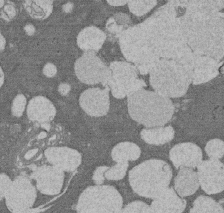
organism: Rat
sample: Salivary granule